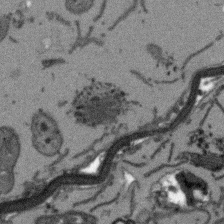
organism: Arabidopsis thaliana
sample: Root tip